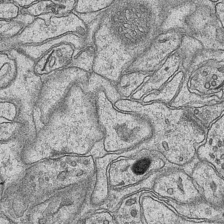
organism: Mouse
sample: CA1 Hippocampus